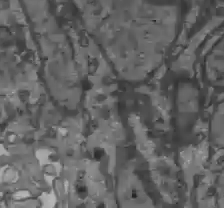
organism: C57BL Mouse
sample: Liver